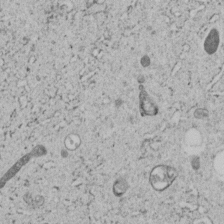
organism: C. elegans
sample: C. elegans embryo early stage